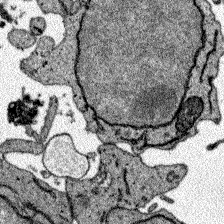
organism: Zebrafish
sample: Larval olfactory bulb